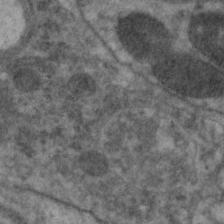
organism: C. elegans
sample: Pharynx